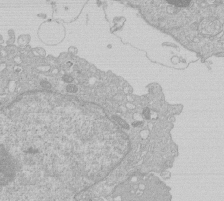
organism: Human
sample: Macrophage cells